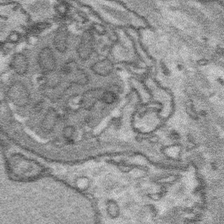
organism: Platynereis dumerilii